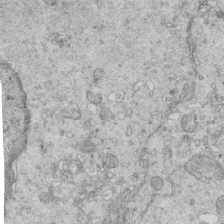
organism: Mouse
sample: Multiciliated cells